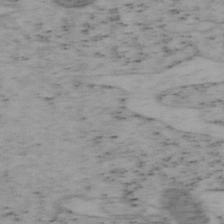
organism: Mouse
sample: OT-I killer T cells with ID8 ovarian cancer cells